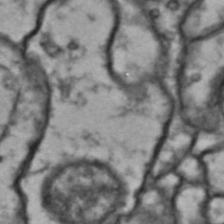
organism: Drosophila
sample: Brain